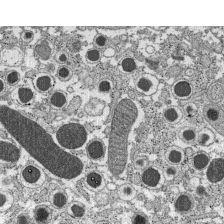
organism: C57BL Mouse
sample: Pancreatic islet